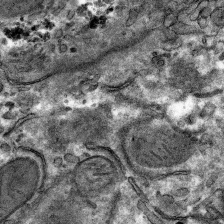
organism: Mouse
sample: Mouse hepatocytes